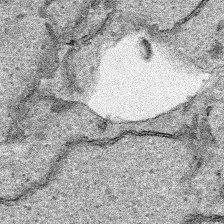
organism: Human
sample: Mitochondria in HCT116 cells